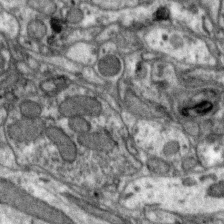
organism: Zebra finch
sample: Brain